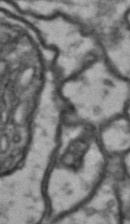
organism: Drosophila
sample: Brain